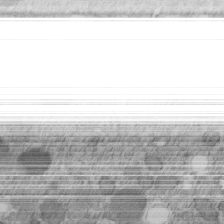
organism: C. elegans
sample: C. elegans embryo early stage